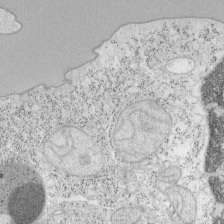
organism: Mouse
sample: OT-I killer T cells with ID8 ovarian cancer cells